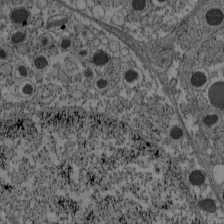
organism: C57BL Mouse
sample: Pancreatic islet